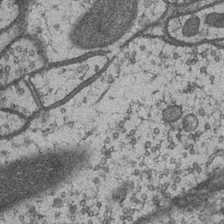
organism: Drosophila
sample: Optic medulla